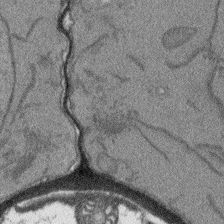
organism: Arabidopsis thaliana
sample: Root tip